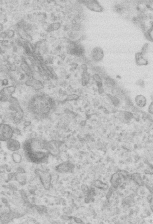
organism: Mouse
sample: Centriole in ependymal cells